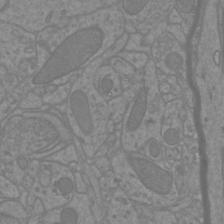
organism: Mouse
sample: Cortical neurons